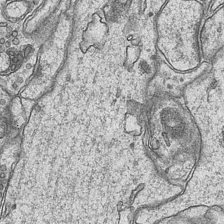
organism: Mouse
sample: CA1 Hippocampus